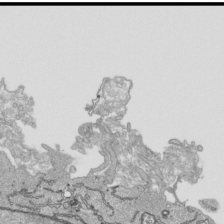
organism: Human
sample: Mitochondria in HCT116 cells